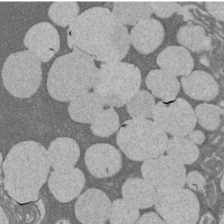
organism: Rat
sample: Salivary granule